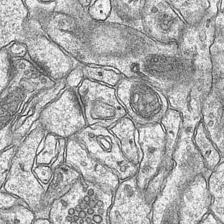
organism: Mouse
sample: CA1 Hippocampus